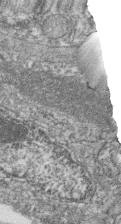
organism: Zebrafish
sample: Cilia; retinal pigment epithelium